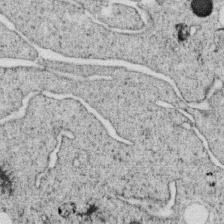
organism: C. elegans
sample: C. elegans oocyte; sperm cells